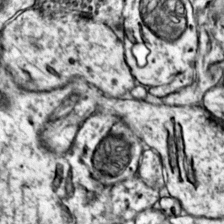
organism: Mouse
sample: Primary visual cortex